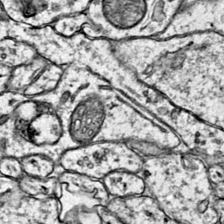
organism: Mouse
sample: Primary visual cortex